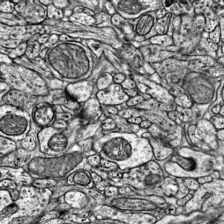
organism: Mouse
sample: Visual Cortex